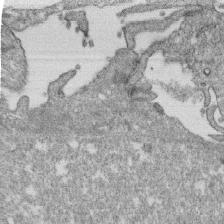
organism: African green monkey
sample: Vero E6 cells infected with SARS-CoV-2